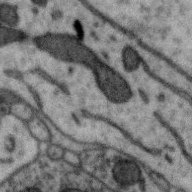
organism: Zebra finch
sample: Brain